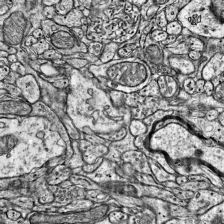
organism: Mouse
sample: Visual Cortex